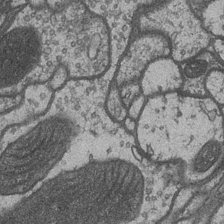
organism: Drosophila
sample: Optic medulla